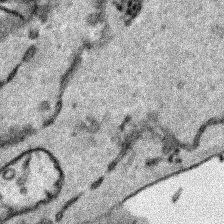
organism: Human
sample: Mitochondria in HCT116 cells